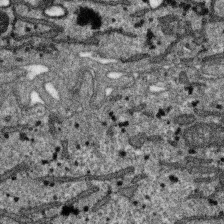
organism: Human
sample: Lung epithelial cells infected with SARS-CoV-2